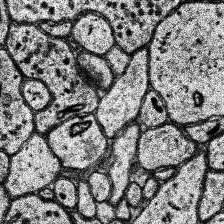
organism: Human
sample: Temporal Lobe